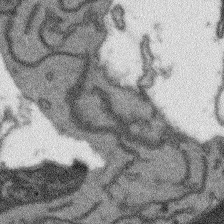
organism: Arabidopsis thaliana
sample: Root tip